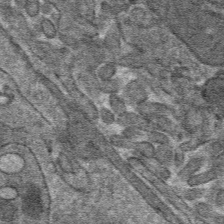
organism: Mouse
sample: Mouse hepatocytes